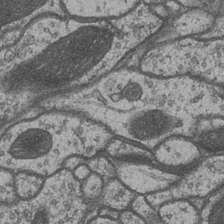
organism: Drosophila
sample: Optic medulla